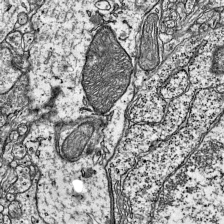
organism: Mouse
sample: Visual Cortex